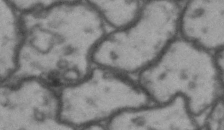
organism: Drosophila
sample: Brain